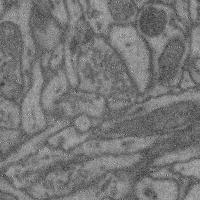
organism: Mouse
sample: Cerebral cortex